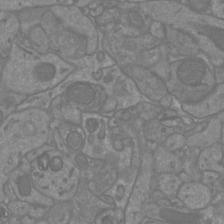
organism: Mouse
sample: Cortical neurons